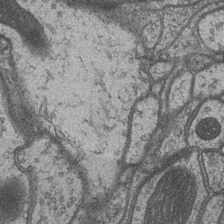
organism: Drosophila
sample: Optic medulla